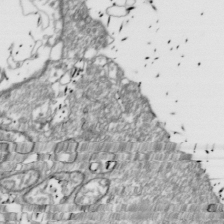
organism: Drosophila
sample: Cell division; meiosis; drosophila spermatocytes